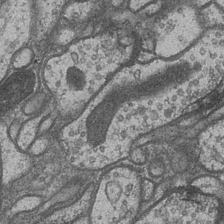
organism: Drosophila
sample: Optic medulla